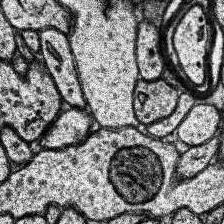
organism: Human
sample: Temporal Lobe